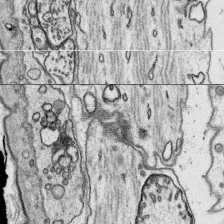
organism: Platynereis dumerilii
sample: Parapodia